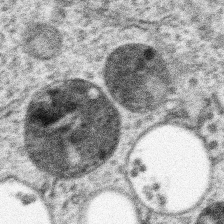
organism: Human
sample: HeLa cells